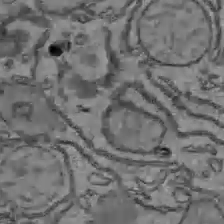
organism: C57BL Mouse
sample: Liver